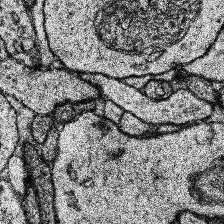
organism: Human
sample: Temporal Lobe